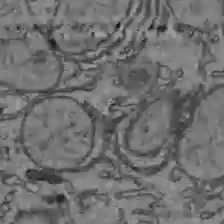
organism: C57BL Mouse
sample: Liver